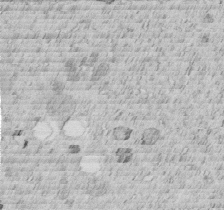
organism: C. elegans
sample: C. elegans embryo early stage